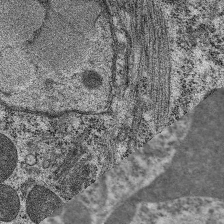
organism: C. elegans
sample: Pharynx